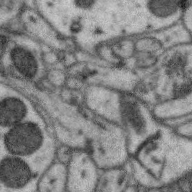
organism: Zebra finch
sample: Brain